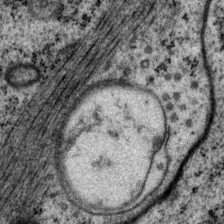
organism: P. pacificus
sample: Pharynx